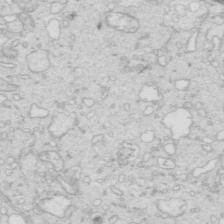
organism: Mouse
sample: Multiciliated cells